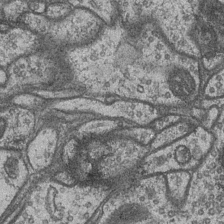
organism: Drosophila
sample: Optic medulla